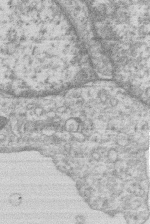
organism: Human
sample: Macrophage cells